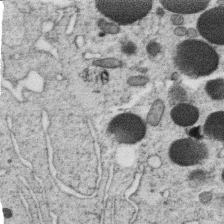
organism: C. elegans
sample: C. elegans oocyte; sperm cells